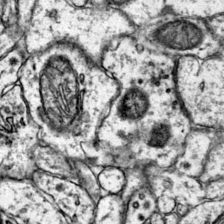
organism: Mouse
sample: Primary visual cortex